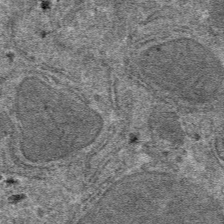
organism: Mouse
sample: Mouse hepatocytes